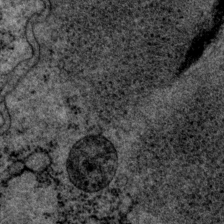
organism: P. pacificus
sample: Pharynx